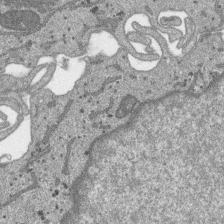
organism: Human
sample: Lung epithelial cells infected with SARS-CoV-2